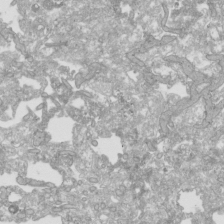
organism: Human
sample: Mitochondria in HCT116 cells